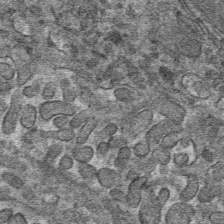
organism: Mouse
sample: Mouse hepatocytes